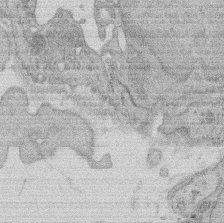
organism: Rat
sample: Salivary granule